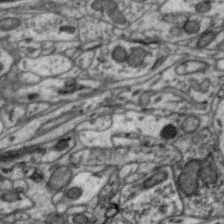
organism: Zebra finch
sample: Brain